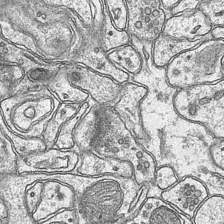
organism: Mouse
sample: CA1 Hippocampus